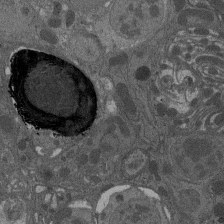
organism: Drosophila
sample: Antenna